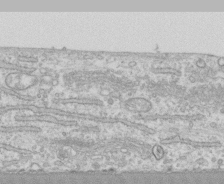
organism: Human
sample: CRL-1474